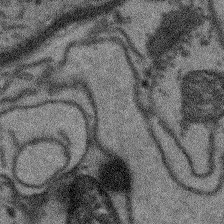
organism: Arabidopsis thaliana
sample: Root tip